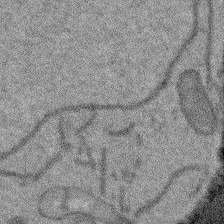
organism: Arabidopsis thaliana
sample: Root tip